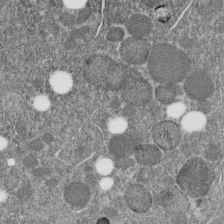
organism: C. elegans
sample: C. elegans embryo early stage